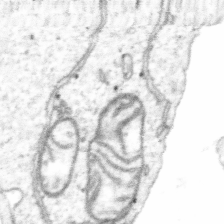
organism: Human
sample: HeLa cells